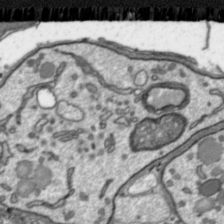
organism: Toxoplasma gondii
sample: Parasites in a vacuole inside a host cell